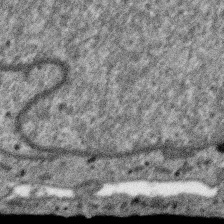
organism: Human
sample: Lung epithelial cells infected with SARS-CoV-2